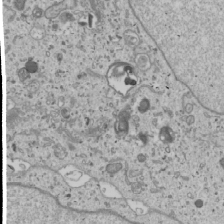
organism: Human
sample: Mitochondria in U2OS cells